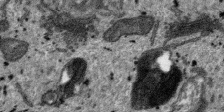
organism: Human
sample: Lung epithelial cells, uninfected (mock) control